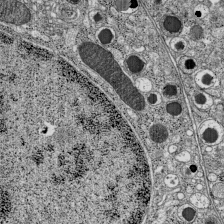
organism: C57BL Mouse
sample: Pancreatic islet